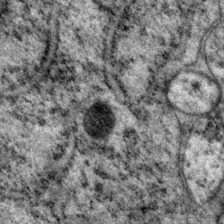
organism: P. pacificus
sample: Pharynx